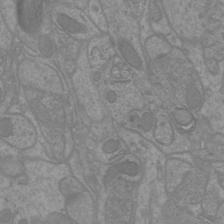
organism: Mouse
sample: Cortical neurons